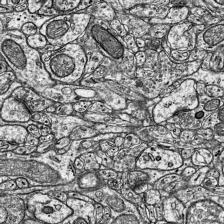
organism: Mouse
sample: Visual Cortex